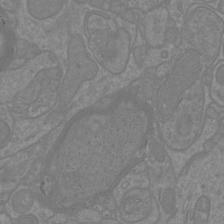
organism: Mouse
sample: Cortical neurons